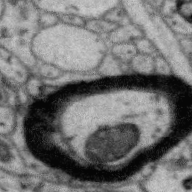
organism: Zebra finch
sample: Brain